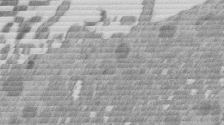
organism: Mouse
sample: Dividing mouse embryo 1 cell stage